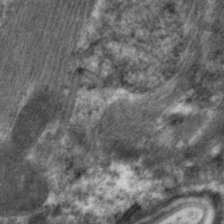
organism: C. elegans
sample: Pharynx